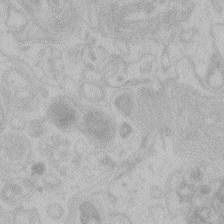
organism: Zebrafish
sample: Macrophage infected with Toxoplasma gondii